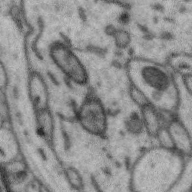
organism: Zebra finch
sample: Brain